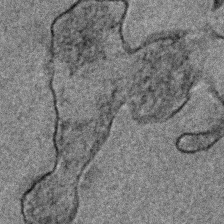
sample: Trachea